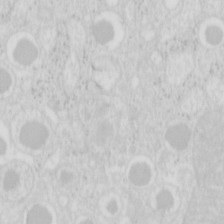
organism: Mouse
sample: Pancreas